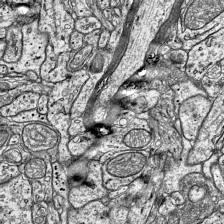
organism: Mouse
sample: Visual Cortex